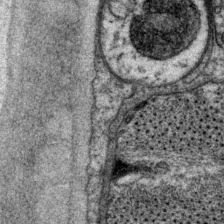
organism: P. pacificus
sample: Pharynx